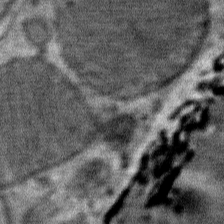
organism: Mouse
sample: Mouse Salivary gland